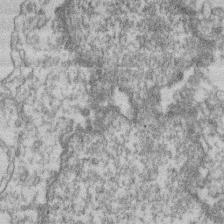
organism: Mouse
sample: T cell stromal cell synapse